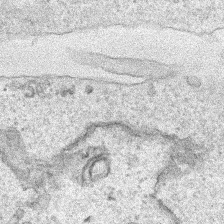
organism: Human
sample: Mitochondria in HCT116 cells